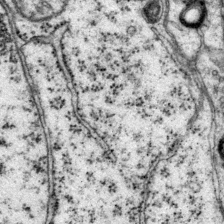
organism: Mouse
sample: Primary visual cortex